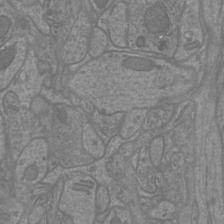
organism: Mouse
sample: Cortical neurons